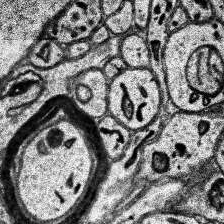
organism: Human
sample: Temporal Lobe